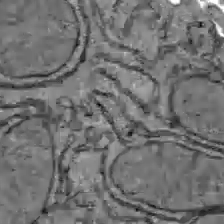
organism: C57BL Mouse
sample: Liver